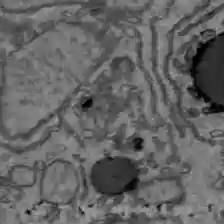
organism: C57BL Mouse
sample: Liver